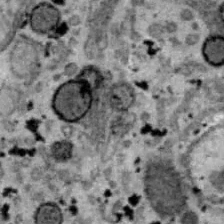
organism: Mouse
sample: Liver from an obese (ob/ob) mouse